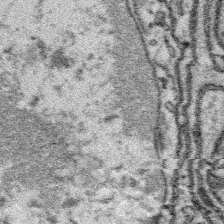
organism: Platynereis dumerilii